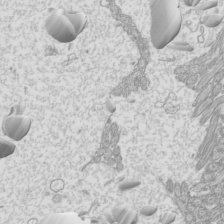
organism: Mouse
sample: Cilia; mouse epididymis